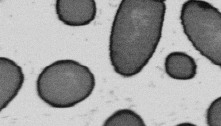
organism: B. subtilis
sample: Bacterial spore